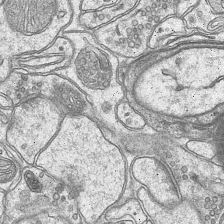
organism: Mouse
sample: CA1 Hippocampus